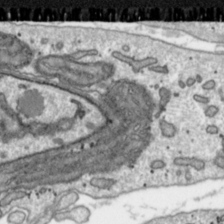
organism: Toxoplasma gondii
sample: Parasites in a vacuole inside a host cell